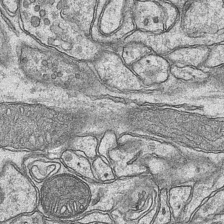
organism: Mouse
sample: CA1 Hippocampus